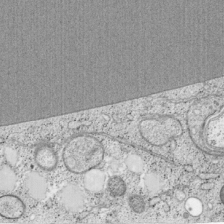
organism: African green monkey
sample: COS-7 cells